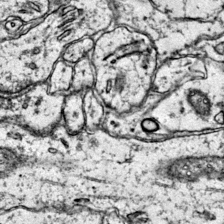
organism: Mouse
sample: Primary visual cortex